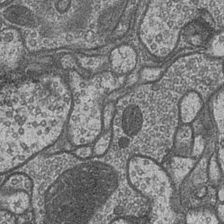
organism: Drosophila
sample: Optic medulla